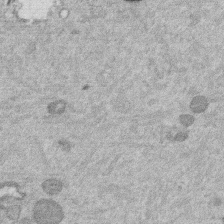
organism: Mouse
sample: Dividing mouse embryo 1 cell stage